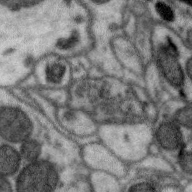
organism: Zebra finch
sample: Brain